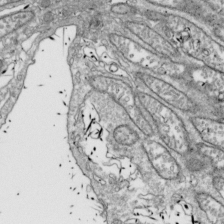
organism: Drosophila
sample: Cell division; meiosis; drosophila spermatocytes